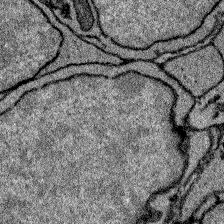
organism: Zebrafish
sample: Larval olfactory bulb